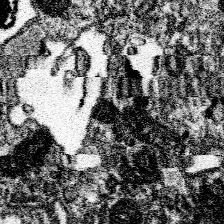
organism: Spongilla lacustris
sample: Neuroid cell